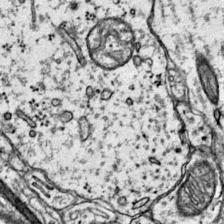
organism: Mouse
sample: Primary visual cortex